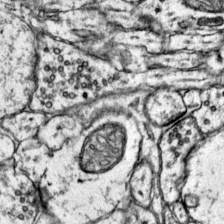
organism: Mouse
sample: Primary visual cortex